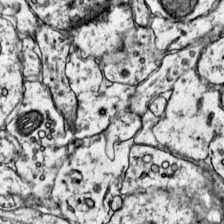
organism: Mouse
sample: Primary visual cortex